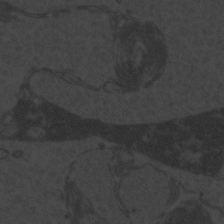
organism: Zebrafish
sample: Macrophage infected with Toxoplasma gondii